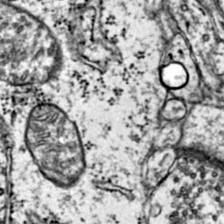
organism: Mouse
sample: Primary visual cortex